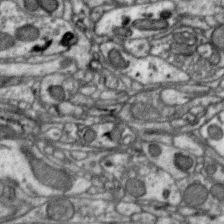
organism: Zebra finch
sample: Brain